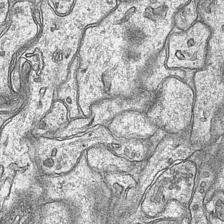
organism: Mouse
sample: CA1 Hippocampus